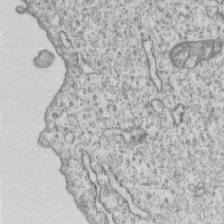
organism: Human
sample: MDA-MB-231 cells